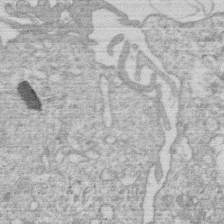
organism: Human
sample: Macrophage cells